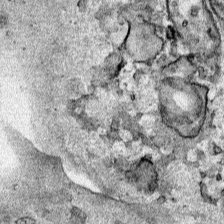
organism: Human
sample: Mitochondria in HCT116 cells